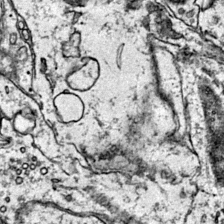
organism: Mouse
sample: Primary visual cortex